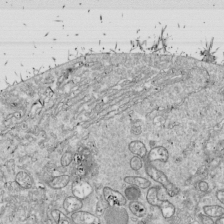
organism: Drosophila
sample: Cell division; meiosis; drosophila spermatocytes